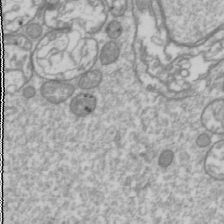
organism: Drosophila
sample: Cell division; meiosis; drosophila spermatocytes